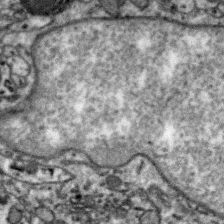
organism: Zebra finch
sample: Brain